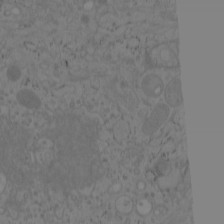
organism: Human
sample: HeLa cells